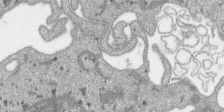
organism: Human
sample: Lung epithelial cells infected with SARS-CoV-2